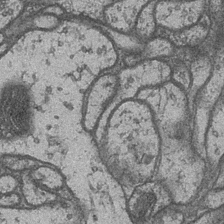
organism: Drosophila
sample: Optic medulla